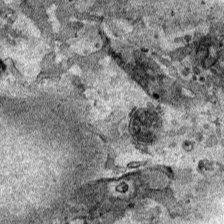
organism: Human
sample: Mitochondria in HCT116 cells